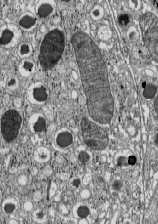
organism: C57BL Mouse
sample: Pancreatic islet